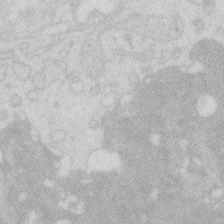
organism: Zebrafish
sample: Macrophage